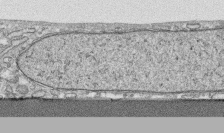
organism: Human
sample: CRL-1474